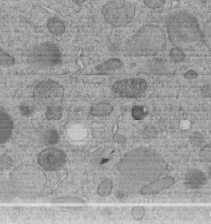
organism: C. elegans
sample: C. elegans embryo early stage